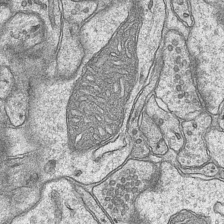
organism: Mouse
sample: CA1 Hippocampus